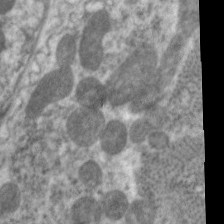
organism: C. elegans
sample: Pharynx